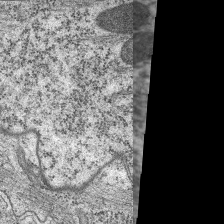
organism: C. elegans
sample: Pharynx